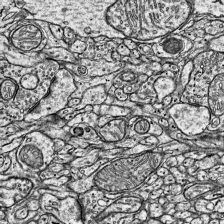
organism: Mouse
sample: Visual Cortex